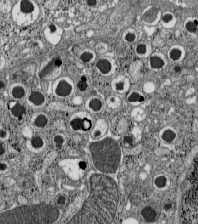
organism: C57BL Mouse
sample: Pancreatic islet